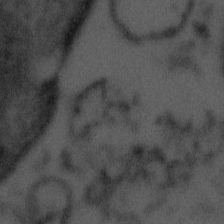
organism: Tuwongella immobilis